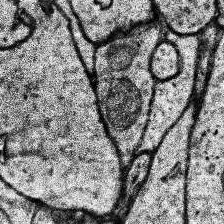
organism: Human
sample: Temporal Lobe